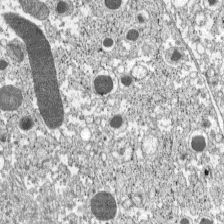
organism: C57BL Mouse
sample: Pancreatic islet